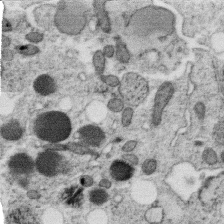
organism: C. elegans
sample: C. elegans oocyte; sperm cells